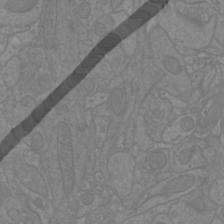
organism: Mouse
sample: Cortical neurons